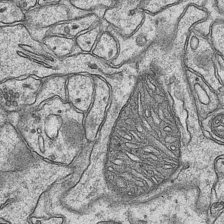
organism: Mouse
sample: CA1 Hippocampus